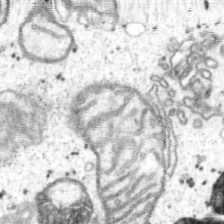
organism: Human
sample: HeLa cells